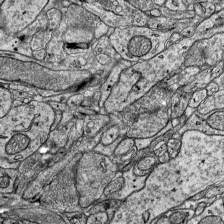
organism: Mouse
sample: Visual Cortex